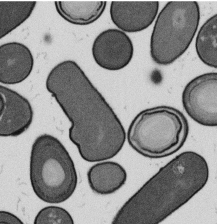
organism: B. subtilis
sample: Bacterial spore